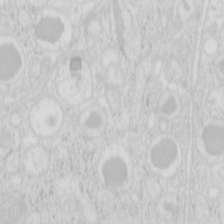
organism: Mouse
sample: Pancreas